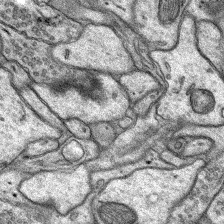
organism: Rat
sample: Hippocampus